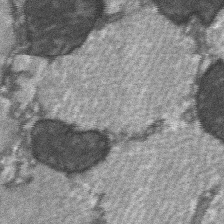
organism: C57BL Mouse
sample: Soleus